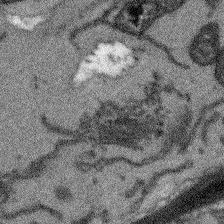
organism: Arabidopsis thaliana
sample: Root tip